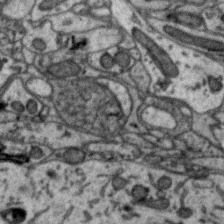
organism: Zebra finch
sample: Brain